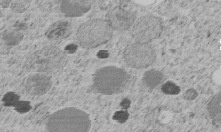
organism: C. elegans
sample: C. elegans embryo early stage